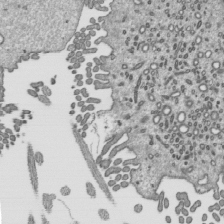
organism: Mouse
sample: Mouse epididymis efferent ductule cilia